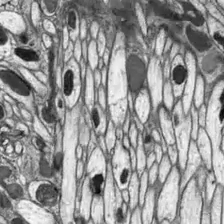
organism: Drosophila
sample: Optic lobe